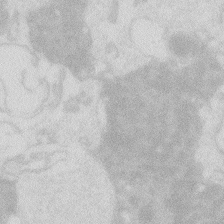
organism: Zebrafish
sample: Macrophage